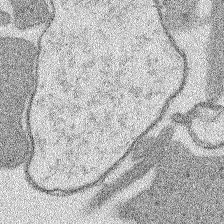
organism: Human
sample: HeLa cells